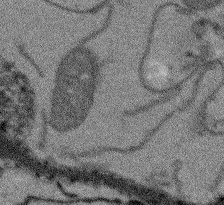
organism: Arabidopsis thaliana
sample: Root tip